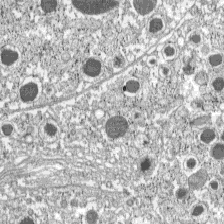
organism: C57BL Mouse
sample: Pancreatic islet